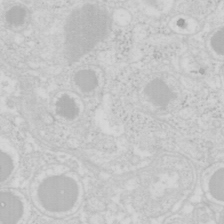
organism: Mouse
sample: Pancreas